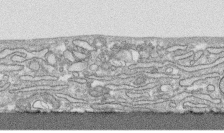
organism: Human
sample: CRL-1474